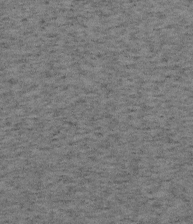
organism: Mouse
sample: OT-I killer T cells with ID8 ovarian cancer cells